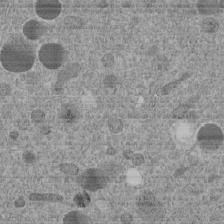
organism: C. elegans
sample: C. elegans embryo early stage